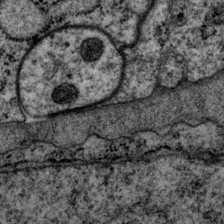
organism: P. pacificus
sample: Pharynx